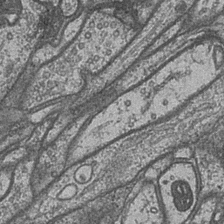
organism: Drosophila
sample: Optic medulla